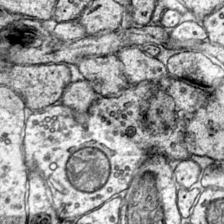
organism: Mouse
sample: Primary visual cortex